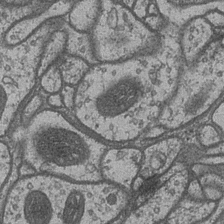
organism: Drosophila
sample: Optic medulla